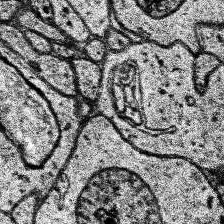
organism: Human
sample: Temporal Lobe